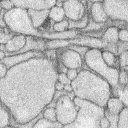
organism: Rabbit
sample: Retina